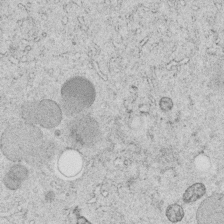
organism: C. elegans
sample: C. elegans embryo early stage